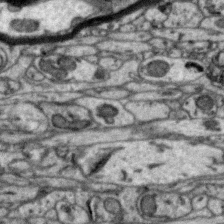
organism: Zebra finch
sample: Brain